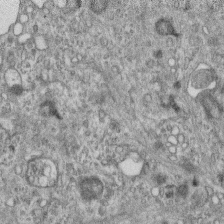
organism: Mouse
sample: Centriole in ependymal cells